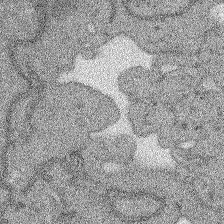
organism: Human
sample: HeLa cells